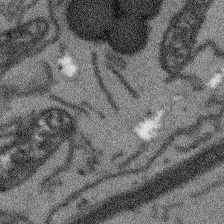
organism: Arabidopsis thaliana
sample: Root tip